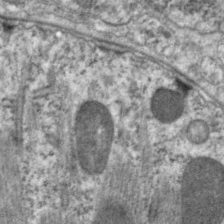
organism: C. elegans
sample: Pharynx